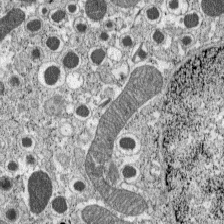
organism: C57BL Mouse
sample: Pancreatic islet